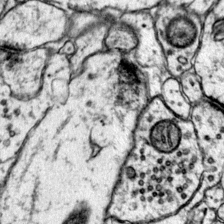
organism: Mouse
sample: Primary visual cortex